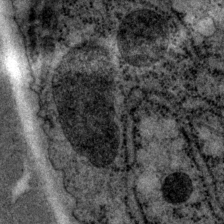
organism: P. pacificus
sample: Pharynx